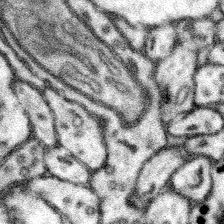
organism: Mouse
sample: Somatosensory cortex neuropil